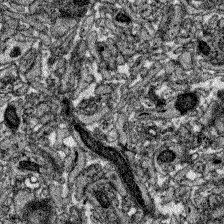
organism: Zebrafish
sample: Larval olfactory bulb